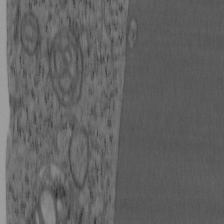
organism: Human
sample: HeLa cells